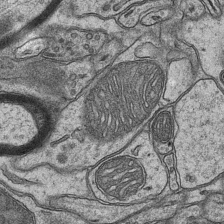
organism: Mouse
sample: CA1 Hippocampus